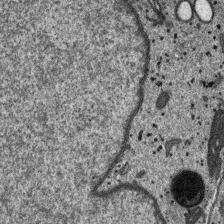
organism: Human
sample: Lung epithelial cells infected with SARS-CoV-2